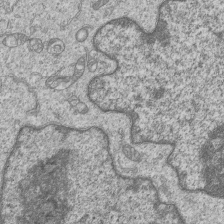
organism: Human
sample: MDA-MB-231 cells